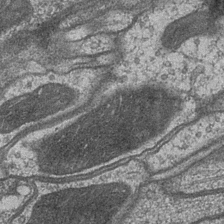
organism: Drosophila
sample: Optic medulla